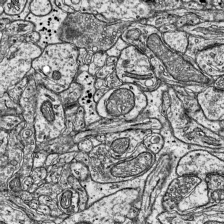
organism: Mouse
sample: Visual Cortex